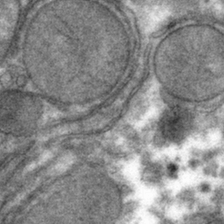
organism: Mouse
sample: Mouse hepatocytes